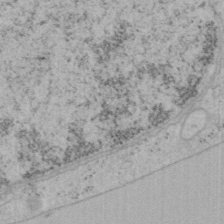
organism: Human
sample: HeLa cells